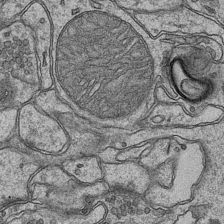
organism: Mouse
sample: CA1 Hippocampus